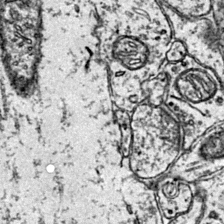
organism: Mouse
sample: Primary visual cortex